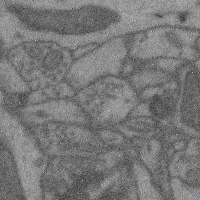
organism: Mouse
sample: Cerebral cortex